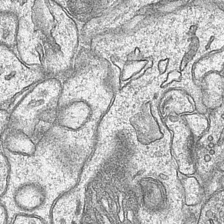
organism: Mouse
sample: CA1 Hippocampus